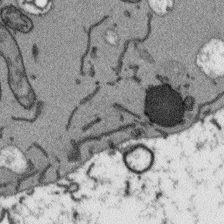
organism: Arabidopsis thaliana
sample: Root tip